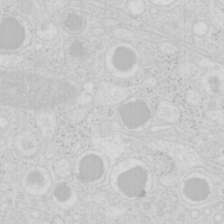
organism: Mouse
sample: Pancreas